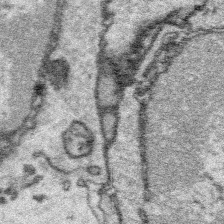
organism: Platynereis dumerilii